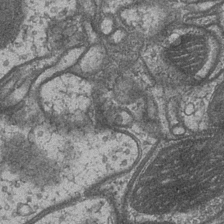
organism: Drosophila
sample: Optic medulla